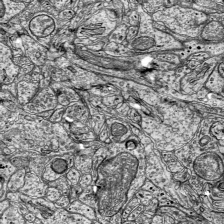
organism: Mouse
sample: Visual Cortex